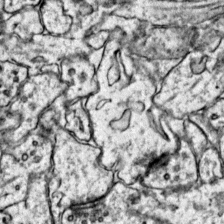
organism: Mouse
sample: Primary visual cortex